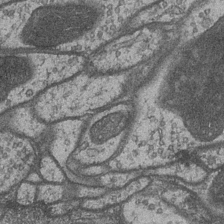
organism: Drosophila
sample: Optic medulla